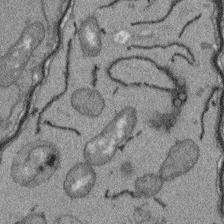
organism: Arabidopsis thaliana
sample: Root tip